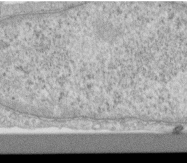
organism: Human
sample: Centriole in RPE cells